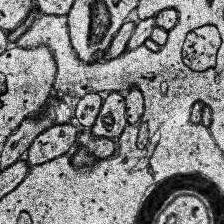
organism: Human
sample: Temporal Lobe